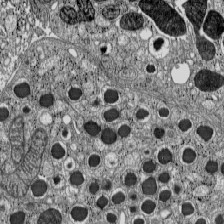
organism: C57BL Mouse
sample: Pancreatic islet